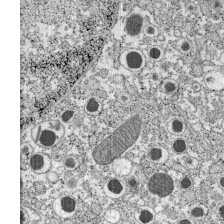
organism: C57BL Mouse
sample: Pancreatic islet